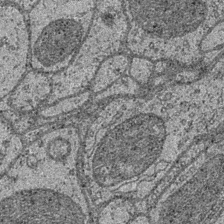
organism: Drosophila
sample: Optic medulla